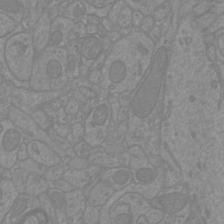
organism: Mouse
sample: Cortical neurons